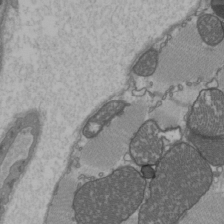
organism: C57BL Mouse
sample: Heart